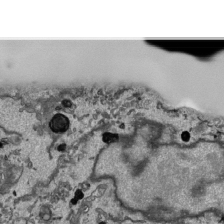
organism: Human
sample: Mitochondria in HCT116 cells